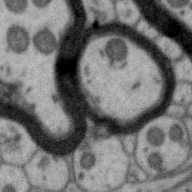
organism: Zebra finch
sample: Brain